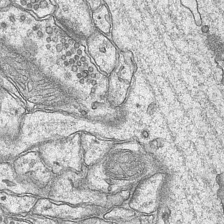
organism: Mouse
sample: CA1 Hippocampus